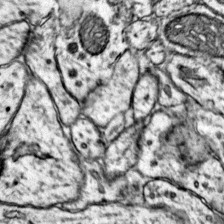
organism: Mouse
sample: Primary visual cortex